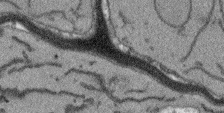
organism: Arabidopsis thaliana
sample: Root tip